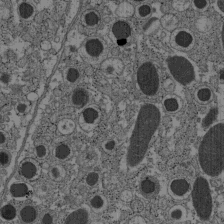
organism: C57BL Mouse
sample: Pancreatic islet